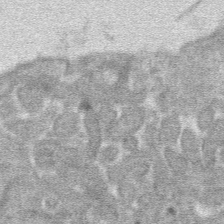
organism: Mouse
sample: Mouse hepatocytes